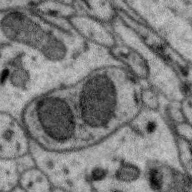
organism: Zebra finch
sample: Brain